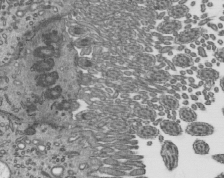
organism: Mouse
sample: Mouse epididymis efferent ductule cilia